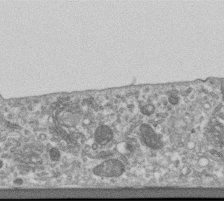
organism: Human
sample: Centriole in RPE cells